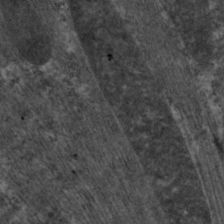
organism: C. elegans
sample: Pharynx